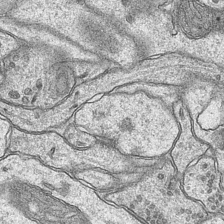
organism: Mouse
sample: CA1 Hippocampus